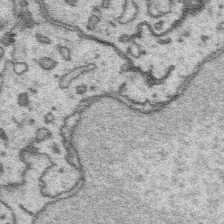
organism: Platynereis dumerilii